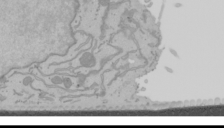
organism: Mouse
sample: Cancer cell death in ED-1 cells